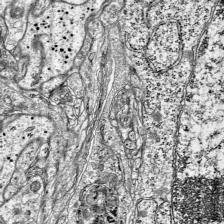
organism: Mouse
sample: Visual Cortex